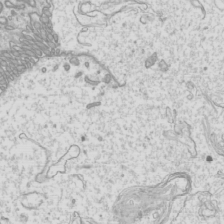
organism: Mouse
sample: Cilia; mouse epididymis